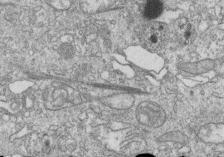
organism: Human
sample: HeLa cell HIV synapse